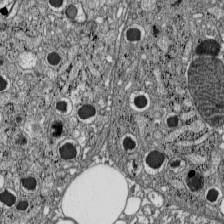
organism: C57BL Mouse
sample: Pancreatic islet